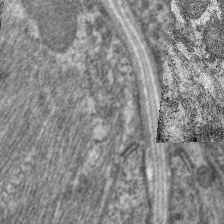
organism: C. elegans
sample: Pharynx